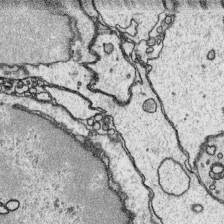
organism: Platynereis dumerilii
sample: Parapodia